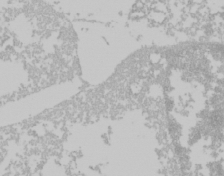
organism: Mouse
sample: Cancer cell death in ED-1 cells